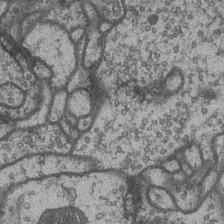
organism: Drosophila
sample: Optic medulla